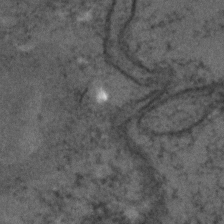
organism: C. elegans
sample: C. elegans embryo